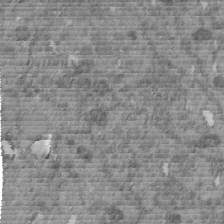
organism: C. elegans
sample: C. elegans embryo early stage